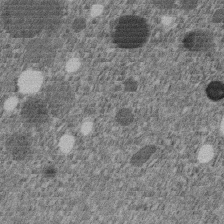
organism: C. elegans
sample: C. elegans embryo early stage